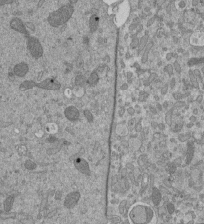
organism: Mouse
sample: ED-1 cell nuclei; centrioles